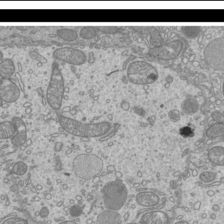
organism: Mouse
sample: Cilia; mouse epididymis